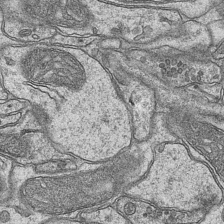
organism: Mouse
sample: CA1 Hippocampus